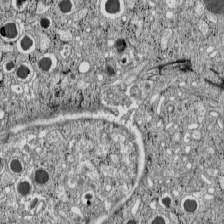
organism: C57BL Mouse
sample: Pancreatic islet